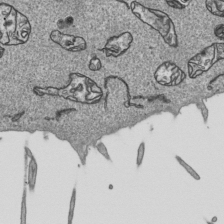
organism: Human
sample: Mitochondria in HCT116 cells